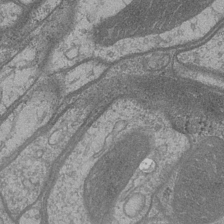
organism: Drosophila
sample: Optic medulla